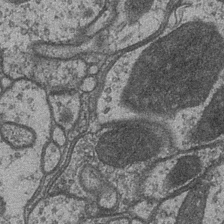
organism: Drosophila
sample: Optic medulla